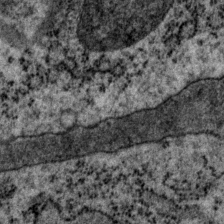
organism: P. pacificus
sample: Pharynx